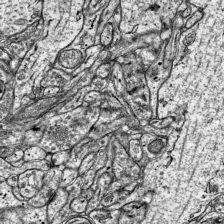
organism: Mouse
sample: Visual Cortex